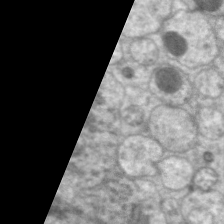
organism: C. elegans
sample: Pharynx